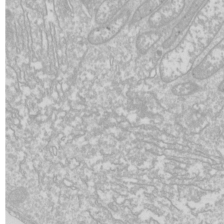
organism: Drosophila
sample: Cell division; meiosis; drosophila spermatocytes